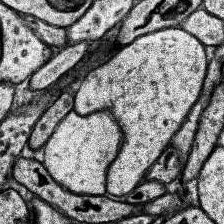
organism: Human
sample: Temporal Lobe